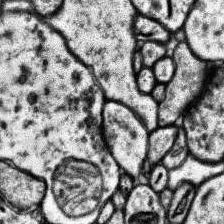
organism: Human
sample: Temporal Lobe